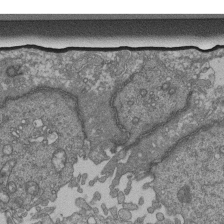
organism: Human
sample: Retinal organoid Rod and Cone cells